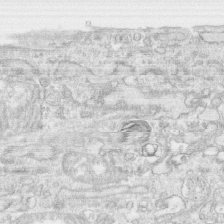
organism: Human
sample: CRL-1474